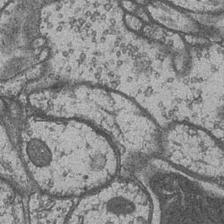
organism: Drosophila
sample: Optic medulla